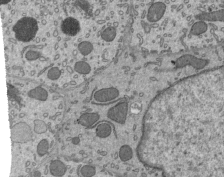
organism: Mouse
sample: Mouse epididymis efferent ductule cilia